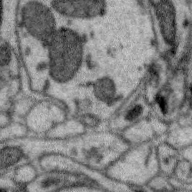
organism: Zebra finch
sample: Brain